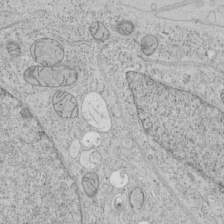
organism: Human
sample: Mitochondria in HCT116 cells